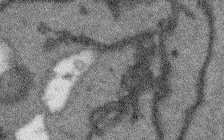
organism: Arabidopsis thaliana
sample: Root tip